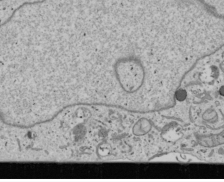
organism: Human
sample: Mitochondria in U2OS cells